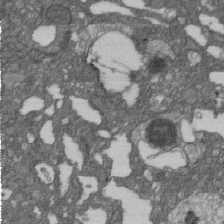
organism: Drosophila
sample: Nephrocyte